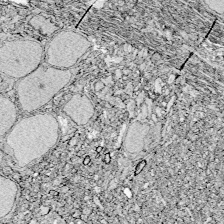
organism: Zebrafish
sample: Whole-Brain